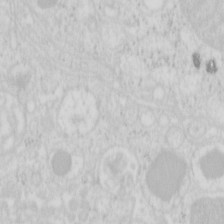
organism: Mouse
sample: Pancreas